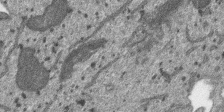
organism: Human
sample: Lung epithelial cells infected with SARS-CoV-2